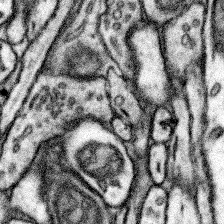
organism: Mouse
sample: Somatosensory cortex neuropil